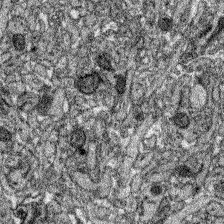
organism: Zebrafish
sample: Larval olfactory bulb